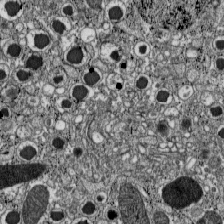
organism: C57BL Mouse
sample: Pancreatic islet